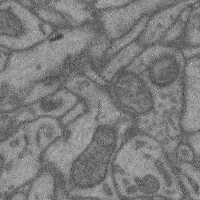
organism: Mouse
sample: Cerebral cortex